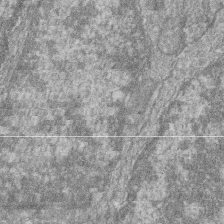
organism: Zebrafish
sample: Cilia; retinal pigment epithelium